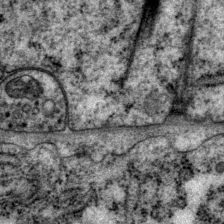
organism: P. pacificus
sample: Pharynx